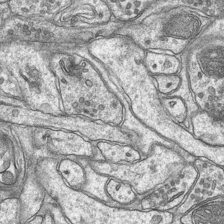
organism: Mouse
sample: CA1 Hippocampus